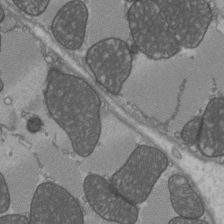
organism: C57BL Mouse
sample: Heart